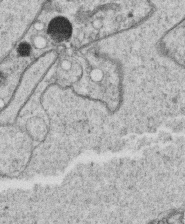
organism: C. elegans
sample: C. elegans oocyte; sperm cells